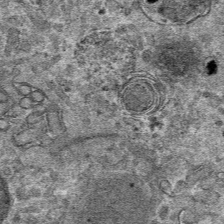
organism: Mouse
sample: Mouse hepatocytes